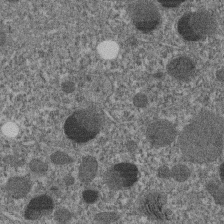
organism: C. elegans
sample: C. elegans embryo early stage